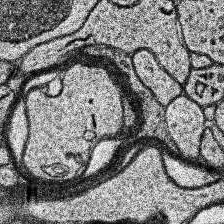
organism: Human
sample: Temporal Lobe